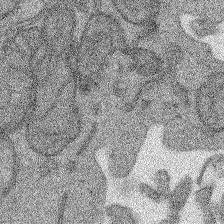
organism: Human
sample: HeLa cells